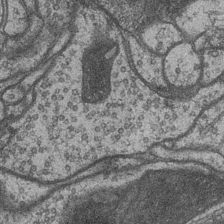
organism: Drosophila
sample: Optic medulla